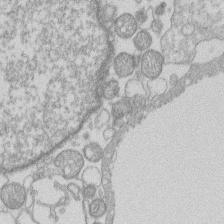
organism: Human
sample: Macrophage cells